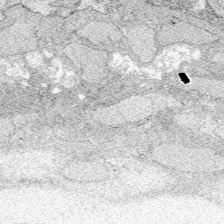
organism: Zebrafish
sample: Whole-Brain